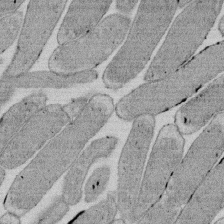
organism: E. coli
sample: Bacterial nucleoid